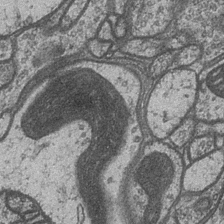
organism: Drosophila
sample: Optic medulla